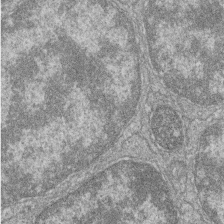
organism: Zebrafish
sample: Cilia; retinal pigment epithelium